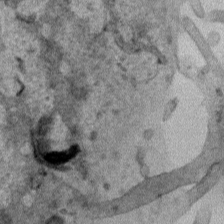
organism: Human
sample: Mitochondria in HCT116 cells